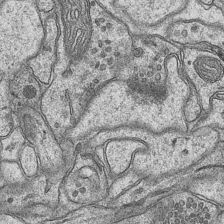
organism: Mouse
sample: CA1 Hippocampus